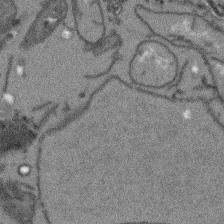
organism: Arabidopsis thaliana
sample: Root tip